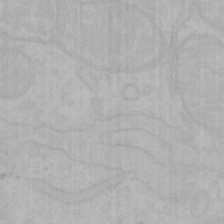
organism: Mouse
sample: Choroid plexus